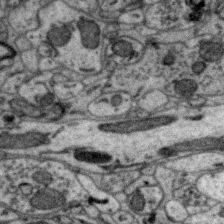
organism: Zebra finch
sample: Brain